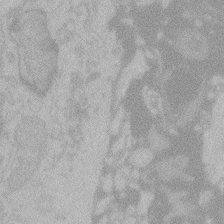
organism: Zebrafish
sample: Macrophage infected with Toxoplasma gondii